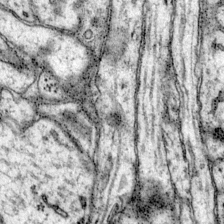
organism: Mouse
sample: Primary visual cortex